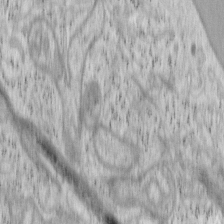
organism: Human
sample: HeLa cells